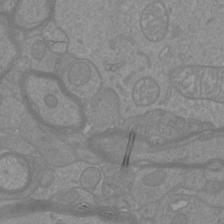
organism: Mouse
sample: Cortical neurons